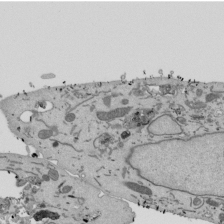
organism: Mouse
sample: ED-1 cell nuclei; centrioles